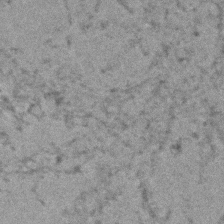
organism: Human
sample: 1205lu cells